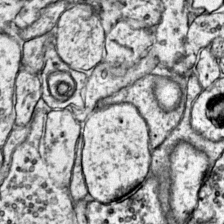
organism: Mouse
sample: Primary visual cortex